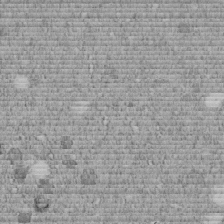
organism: C. elegans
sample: C. elegans embryo early stage